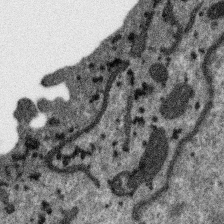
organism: Human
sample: Lung epithelial cells infected with SARS-CoV-2